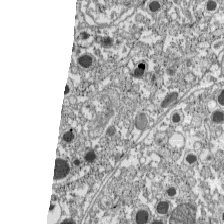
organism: C57BL Mouse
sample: Pancreatic islet